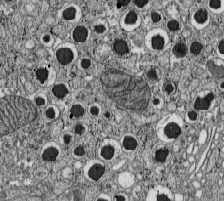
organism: C57BL Mouse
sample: Pancreatic islet